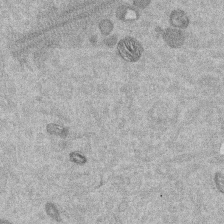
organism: Mouse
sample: Dividing mouse embryo 1 cell stage